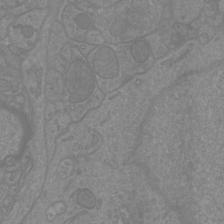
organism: Mouse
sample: Cortical neurons